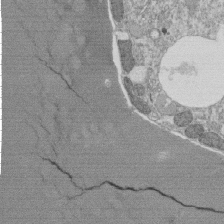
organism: Tetrahymena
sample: Cilia in tetrahymena